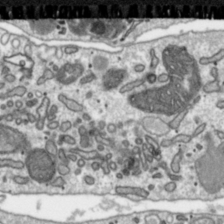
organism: Toxoplasma gondii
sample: Parasites in a vacuole inside a host cell